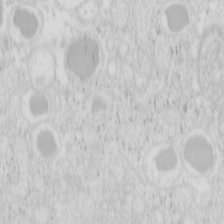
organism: Mouse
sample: Pancreas